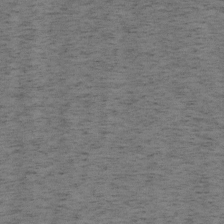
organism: Mouse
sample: OT-I killer T cells with ID8 ovarian cancer cells